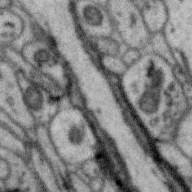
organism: Zebra finch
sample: Brain